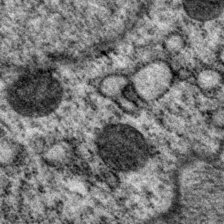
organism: P. pacificus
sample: Pharynx